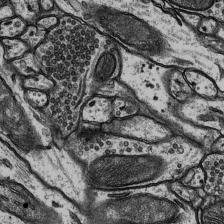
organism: Rat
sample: Hippocampus